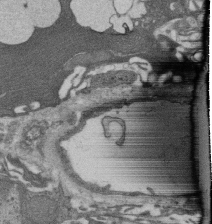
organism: Rat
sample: Salivary granule